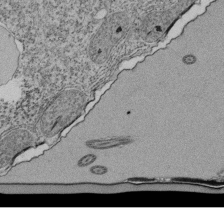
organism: Tetrahymena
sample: Cilia in tetrahymena